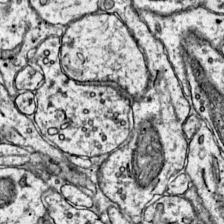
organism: Mouse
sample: Primary visual cortex